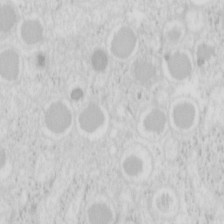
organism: Mouse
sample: Pancreas